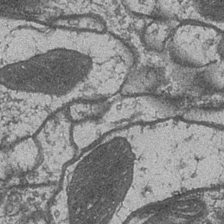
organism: Drosophila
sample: Optic medulla